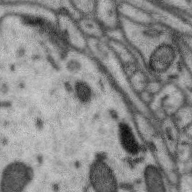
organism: Zebra finch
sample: Brain